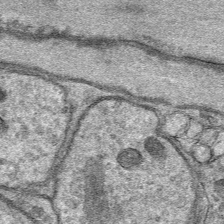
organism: Mouse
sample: Mouse Salivary gland